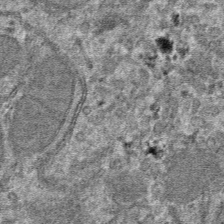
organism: Mouse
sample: Mouse hepatocytes